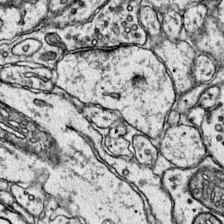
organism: Mouse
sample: Primary visual cortex